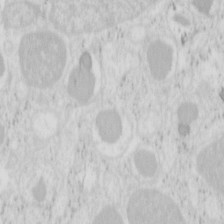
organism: Mouse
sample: Pancreas